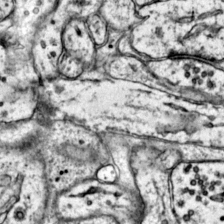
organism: Mouse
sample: Primary visual cortex